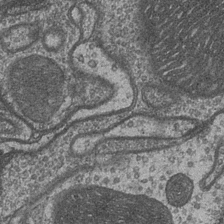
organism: Drosophila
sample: Optic medulla